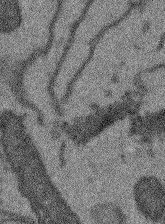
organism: Arabidopsis thaliana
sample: Root tip